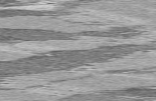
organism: C57BL Mouse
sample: Heart